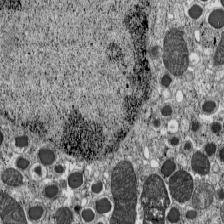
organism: C57BL Mouse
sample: Pancreatic islet